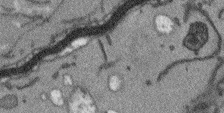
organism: Arabidopsis thaliana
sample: Root tip